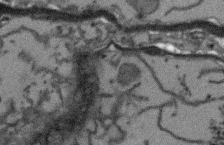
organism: Arabidopsis thaliana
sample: Root tip